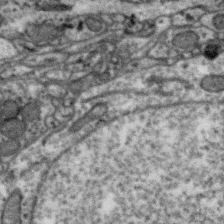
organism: Zebra finch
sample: Brain